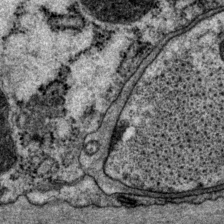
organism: P. pacificus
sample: Pharynx